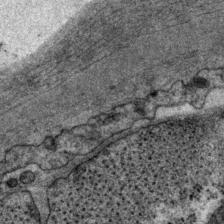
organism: P. pacificus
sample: Pharynx